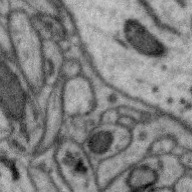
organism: Zebra finch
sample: Brain